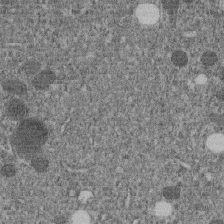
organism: C. elegans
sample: C. elegans embryo early stage